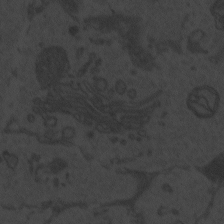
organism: Zebrafish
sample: Macrophage infected with Toxoplasma gondii